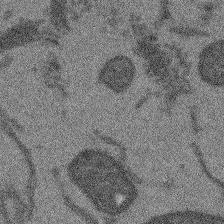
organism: Arabidopsis thaliana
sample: Root tip